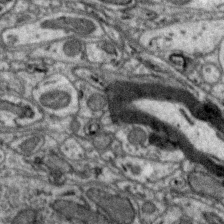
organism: Zebra finch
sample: Brain